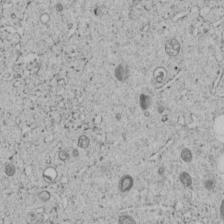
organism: C. elegans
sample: C. elegans embryo early stage